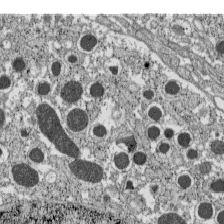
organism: C57BL Mouse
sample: Pancreatic islet